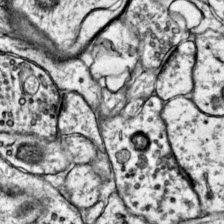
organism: Mouse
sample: Primary visual cortex